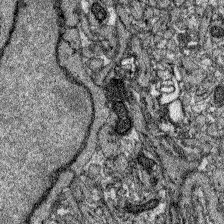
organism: Zebrafish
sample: Larval olfactory bulb